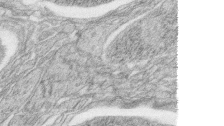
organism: Zebrafish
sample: synaptic ribbons in rod cells and cone cells